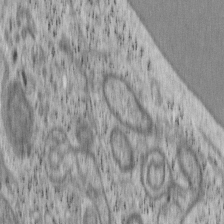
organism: Human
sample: HeLa cells